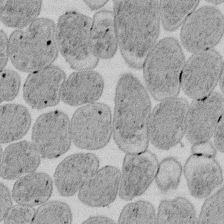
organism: E. coli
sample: Bacterial nucleoid